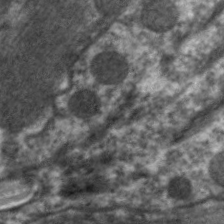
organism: C. elegans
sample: Pharynx